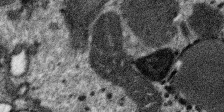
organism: Human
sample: Lung epithelial cells infected with SARS-CoV-2